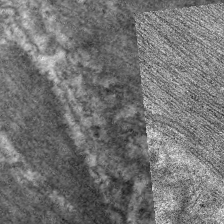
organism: C. elegans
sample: Pharynx